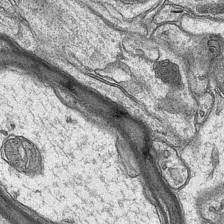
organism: Mouse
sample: CA1 Hippocampus